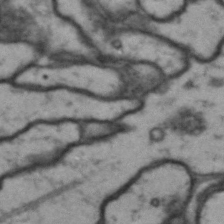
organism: Drosophila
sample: Brain